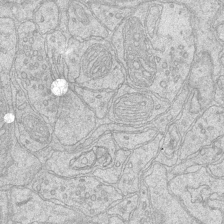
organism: Mouse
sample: CA1 Hippocampus